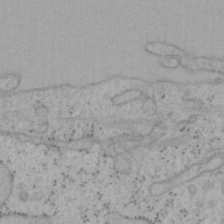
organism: Human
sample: HeLa cells